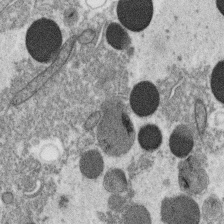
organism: C. elegans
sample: C. elegans oocyte; sperm cells